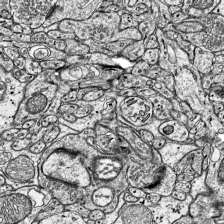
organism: Mouse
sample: Visual Cortex